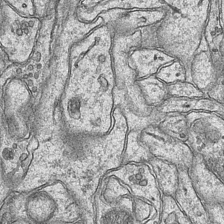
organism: Mouse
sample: CA1 Hippocampus